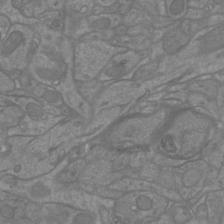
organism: Mouse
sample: Cortical neurons